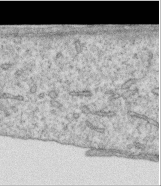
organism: Human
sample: Centriole in RPE cells